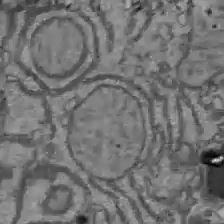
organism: C57BL Mouse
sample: Liver